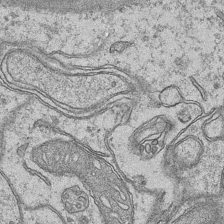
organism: Mouse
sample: CA1 Hippocampus